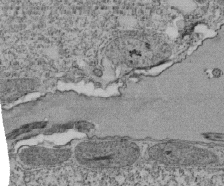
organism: Tetrahymena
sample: Cilia in tetrahymena